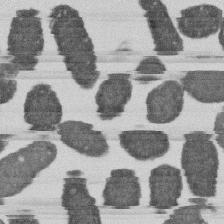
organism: E. coli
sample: Bacterial nucleoid